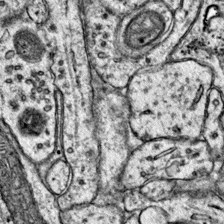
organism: Mouse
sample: Primary visual cortex